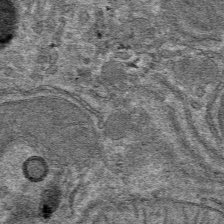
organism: Mouse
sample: Mouse hepatocytes